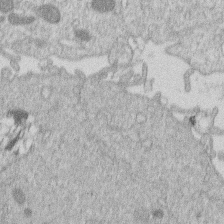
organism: Human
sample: Macrophage cells